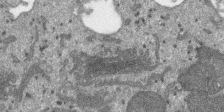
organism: Human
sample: Lung epithelial cells infected with SARS-CoV-2